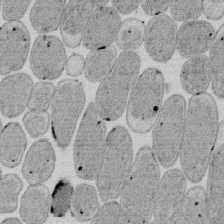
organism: E. coli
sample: Bacterial nucleoid